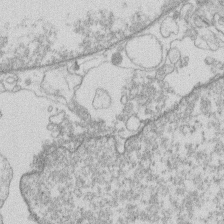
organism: Human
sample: Macrophage cells